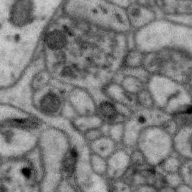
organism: Zebra finch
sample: Brain